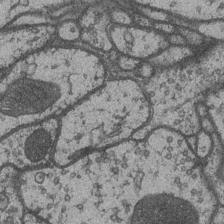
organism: Drosophila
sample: Optic medulla